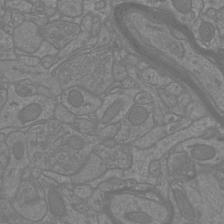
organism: Mouse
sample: Cortical neurons